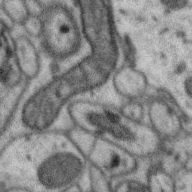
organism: Zebra finch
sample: Brain